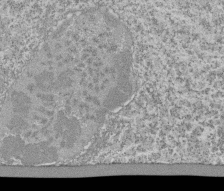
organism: Tetrahymena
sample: Cilia in tetrahymena